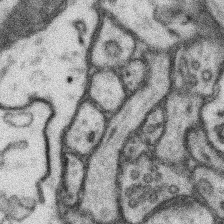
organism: Mouse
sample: Somatosensory cortex neuropil